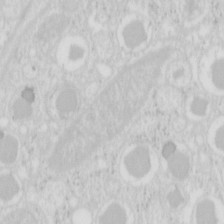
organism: Mouse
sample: Pancreas